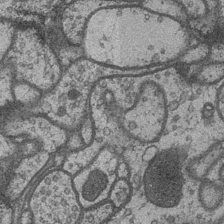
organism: Drosophila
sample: Optic medulla